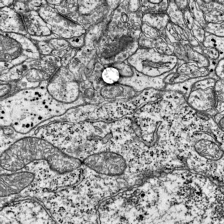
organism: Mouse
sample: Visual Cortex